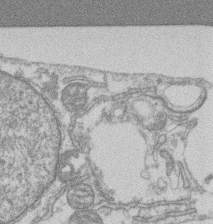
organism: Mouse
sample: T cell stromal cell synapse